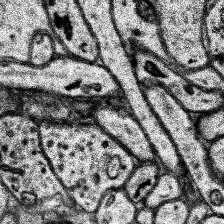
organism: Human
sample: Temporal Lobe